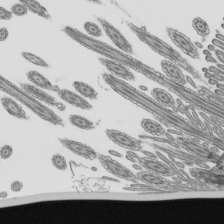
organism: Mouse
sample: Mouse epididymis efferent ductule cilia